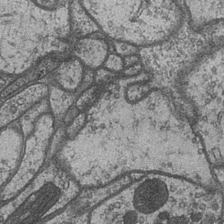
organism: Drosophila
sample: Optic medulla